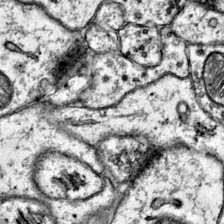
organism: Mouse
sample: Primary visual cortex